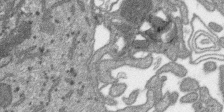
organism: Human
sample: Lung epithelial cells infected with SARS-CoV-2